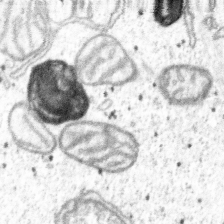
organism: Human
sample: HeLa cells